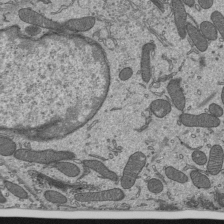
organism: Mouse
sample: Mouse epididymis efferent ductule cilia